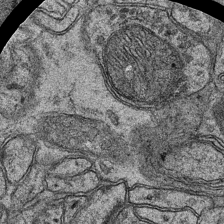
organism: Mouse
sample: CA1 Hippocampus